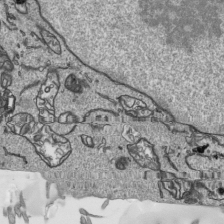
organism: Human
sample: Mitochondria in HCT116 cells